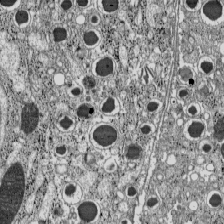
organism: C57BL Mouse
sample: Pancreatic islet